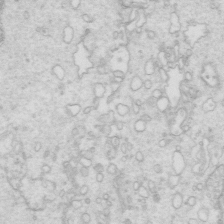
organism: Mouse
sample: Multiciliated cells